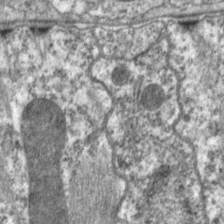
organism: C. elegans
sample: Pharynx